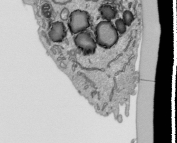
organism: Human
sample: Mitochondria in HCT116 cells